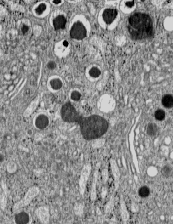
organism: C57BL Mouse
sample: Pancreatic islet